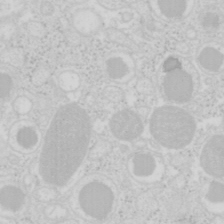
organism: Mouse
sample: Pancreas